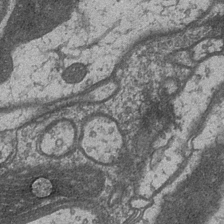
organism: Drosophila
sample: Optic medulla